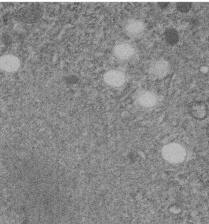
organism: C. elegans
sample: C. elegans embryo early stage